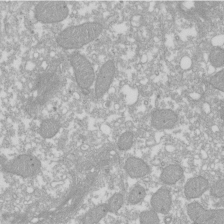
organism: Xenopus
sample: Cilia; centrioles in frog embryo cells